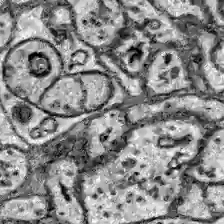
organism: Zebrafish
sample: Brain